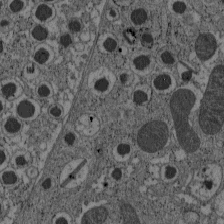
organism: C57BL Mouse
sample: Pancreatic islet